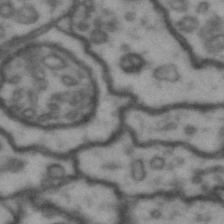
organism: Drosophila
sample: Brain